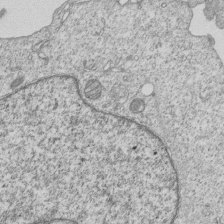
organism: Human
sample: MDA-MB-231 cells